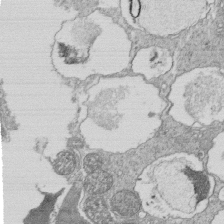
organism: Tetrahymena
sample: Cilia in tetrahymena